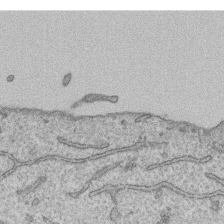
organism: Human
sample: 1205lu cells